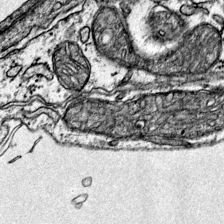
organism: Mouse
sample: Primary visual cortex